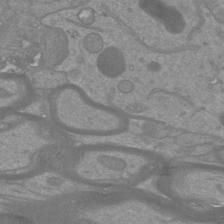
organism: Mouse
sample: Cortical neurons